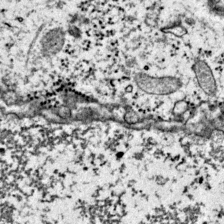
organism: Mouse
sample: Primary visual cortex